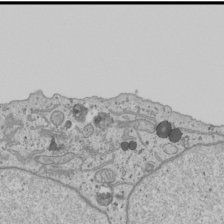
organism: Human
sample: Mitochondria in U2OS cells